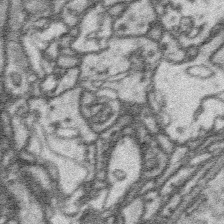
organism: Platynereis dumerilii